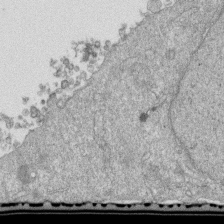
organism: Human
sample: HeLa cell HIV synapse